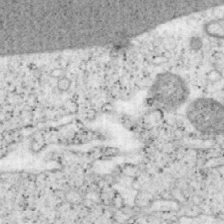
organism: Mouse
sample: OT-I killer T cells with ID8 ovarian cancer cells